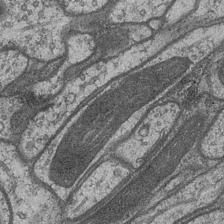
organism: Drosophila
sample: Optic medulla